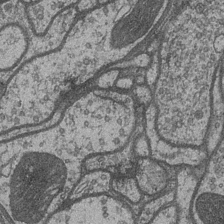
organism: Drosophila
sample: Optic medulla